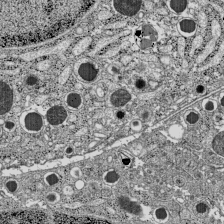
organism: C57BL Mouse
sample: Pancreatic islet